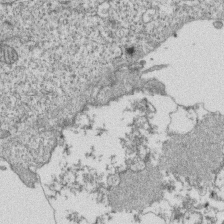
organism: Human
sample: HeLa cell HIV synapse